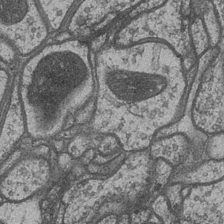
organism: Drosophila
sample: Optic medulla